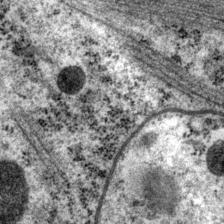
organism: P. pacificus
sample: Pharynx